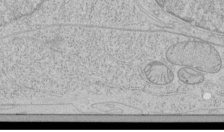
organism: Human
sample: Mitochondria in HCT116 cells